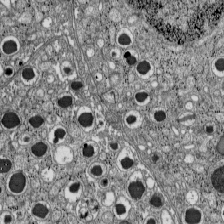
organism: C57BL Mouse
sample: Pancreatic islet